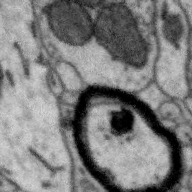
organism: Zebra finch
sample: Brain